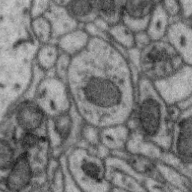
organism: Zebra finch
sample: Brain